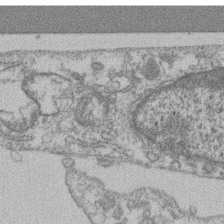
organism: Mouse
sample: T cell stromal cell synapse